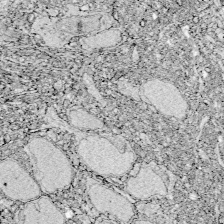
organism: Zebrafish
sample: Whole-Brain